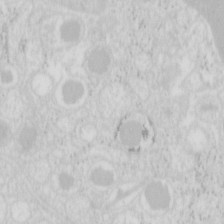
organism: Mouse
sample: Pancreas